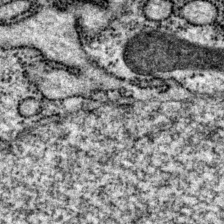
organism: P. pacificus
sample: Pharynx